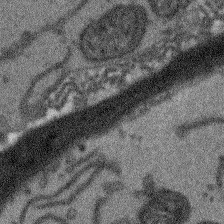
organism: Arabidopsis thaliana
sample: Root tip